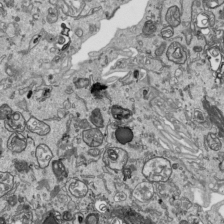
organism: Human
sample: Mitochondria in HCT116 cells